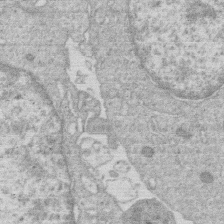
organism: Human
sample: Macrophage cells